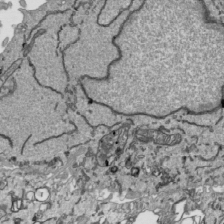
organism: Human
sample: Mitochondria in HCT116 cells